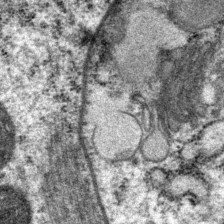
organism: P. pacificus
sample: Pharynx